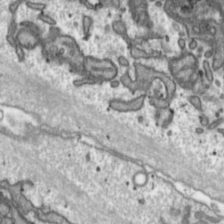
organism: Toxoplasma gondii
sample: Parasites in a vacuole inside a host cell